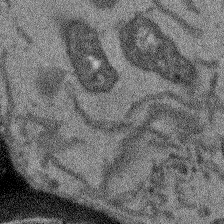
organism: Arabidopsis thaliana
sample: Root tip